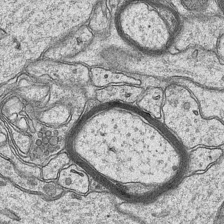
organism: Mouse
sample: CA1 Hippocampus